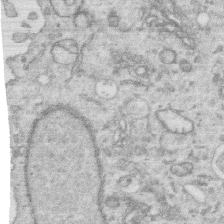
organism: Human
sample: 1205lu cells